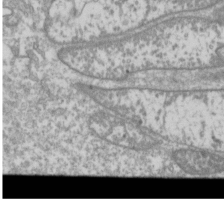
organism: Drosophila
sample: Cell division; meiosis; drosophila spermatocytes